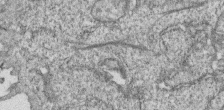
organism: Human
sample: HeLa cell HIV synapse